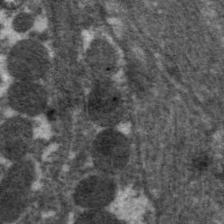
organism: C. elegans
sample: Pharynx